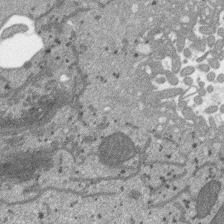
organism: Human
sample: Lung epithelial cells infected with SARS-CoV-2